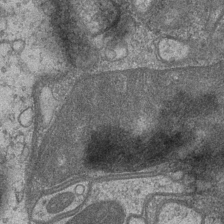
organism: Drosophila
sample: Optic medulla